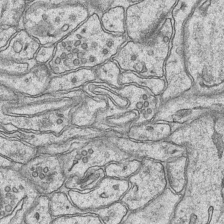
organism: Mouse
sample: CA1 Hippocampus